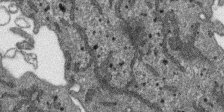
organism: Human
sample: Lung epithelial cells infected with SARS-CoV-2